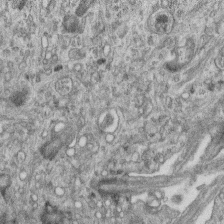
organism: Mouse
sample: Centriole in ependymal cells